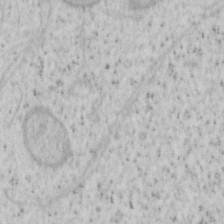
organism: Human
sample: HeLa cells